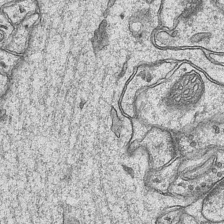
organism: Mouse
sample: CA1 Hippocampus